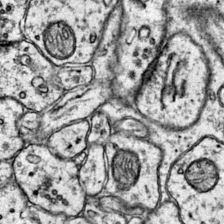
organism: Mouse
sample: Primary visual cortex